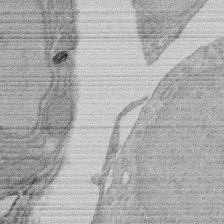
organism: Rat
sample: Salivary granule